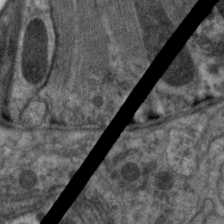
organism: C. elegans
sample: Pharynx